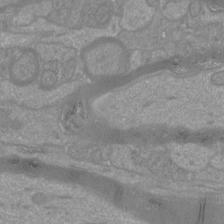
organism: Mouse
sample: Cortical neurons